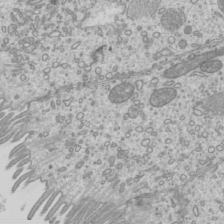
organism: Mouse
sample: Cilia; mouse epididymis